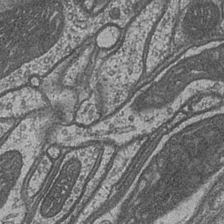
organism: Drosophila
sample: Optic medulla